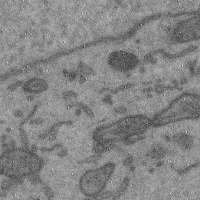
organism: Mouse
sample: Cerebral cortex